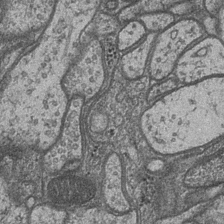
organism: Drosophila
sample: Optic medulla